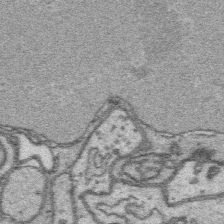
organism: Platynereis dumerilii